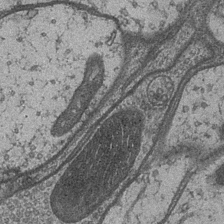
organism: Drosophila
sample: Optic medulla